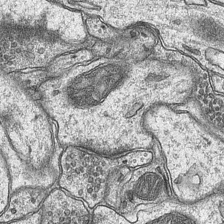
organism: Mouse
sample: CA1 Hippocampus